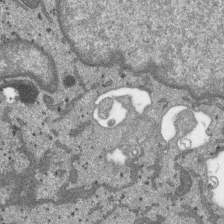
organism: Human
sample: Lung epithelial cells infected with SARS-CoV-2